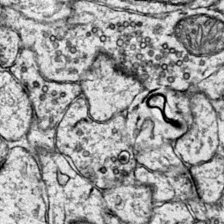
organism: Mouse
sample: Primary visual cortex